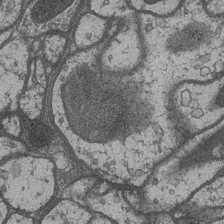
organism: Drosophila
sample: Optic medulla